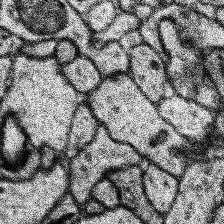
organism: Human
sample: Temporal Lobe